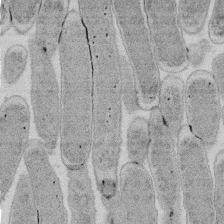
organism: E. coli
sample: Bacterial nucleoid